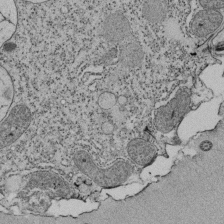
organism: Tetrahymena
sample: Cilia in tetrahymena